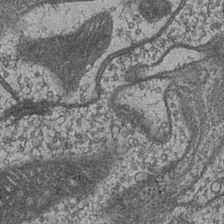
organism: Drosophila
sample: Optic medulla